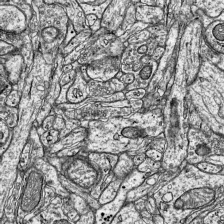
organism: Mouse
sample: Visual Cortex